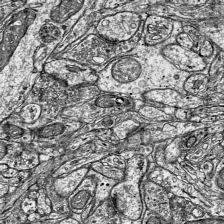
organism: Mouse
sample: Visual Cortex